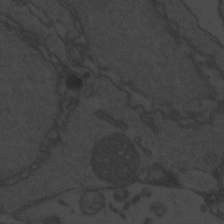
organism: Zebrafish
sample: Macrophage infected with Toxoplasma gondii